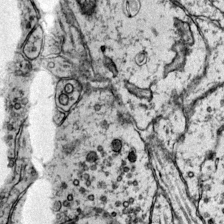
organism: Mouse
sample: Primary visual cortex